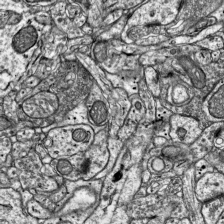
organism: Mouse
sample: Visual Cortex